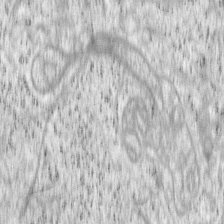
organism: Human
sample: HeLa cells